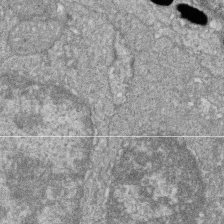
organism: Zebrafish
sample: Cilia; retinal pigment epithelium